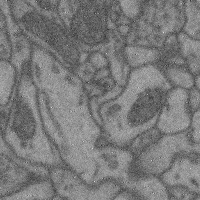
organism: Mouse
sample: Cerebral cortex